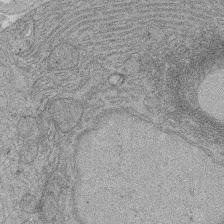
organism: Rat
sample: Salivary granule